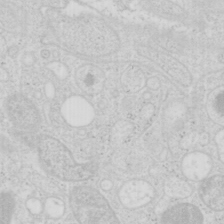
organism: Mouse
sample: Pancreas